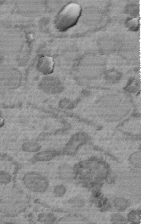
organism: C. elegans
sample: C. elegans embryo early stage